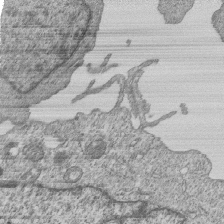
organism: Human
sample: MDA-MB-231 cells